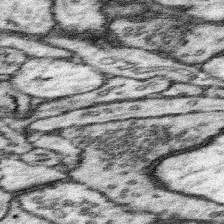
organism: Mouse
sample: Somatosensory cortex neuropil